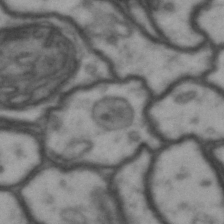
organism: Drosophila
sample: Brain